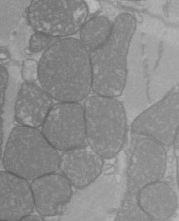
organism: C57BL Mouse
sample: Heart